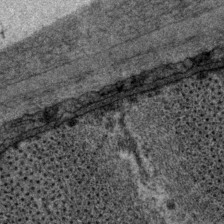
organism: P. pacificus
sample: Pharynx